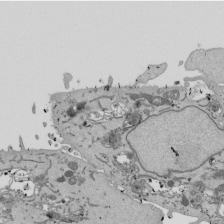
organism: Mouse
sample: ED-1 cell nuclei; centrioles